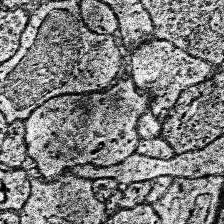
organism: Human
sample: Temporal Lobe